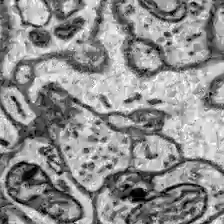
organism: Zebrafish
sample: Brain